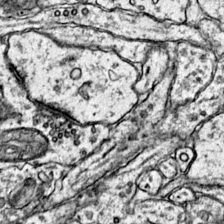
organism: Mouse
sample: Primary visual cortex